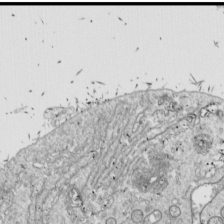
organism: Drosophila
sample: Cell division; meiosis; drosophila spermatocytes